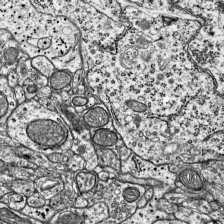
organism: Mouse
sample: Visual Cortex